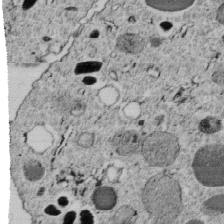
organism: C. elegans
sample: C. elegans embryo early stage